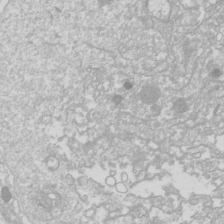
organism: Drosophila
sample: Cell division; meiosis; drosophila spermatocytes